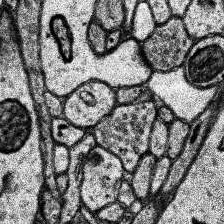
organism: Human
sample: Temporal Lobe